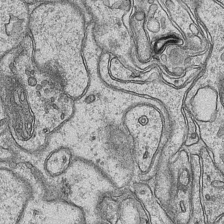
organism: Mouse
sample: CA1 Hippocampus